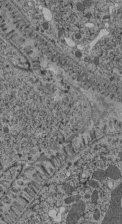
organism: C. elegans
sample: C. elegans pharynx